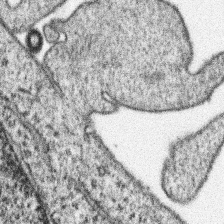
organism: Human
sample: HeLa cells